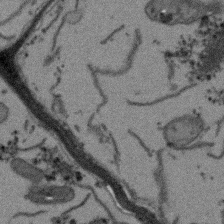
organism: Arabidopsis thaliana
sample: Root tip